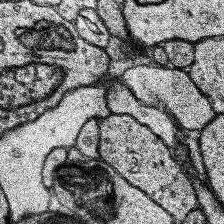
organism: Human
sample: Temporal Lobe